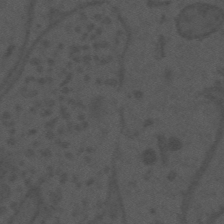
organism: Mouse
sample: Suprachiasmatic nucleus